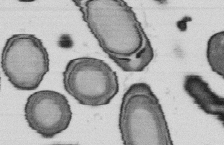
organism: B. subtilis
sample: Bacterial spore